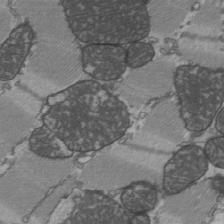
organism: C57BL Mouse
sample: Heart